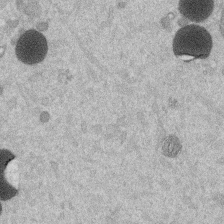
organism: Mouse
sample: Dividing mouse embryo 1 cell stage